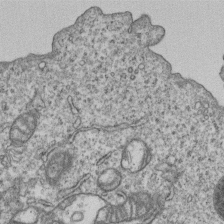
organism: Human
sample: MDA-MB-231 cells